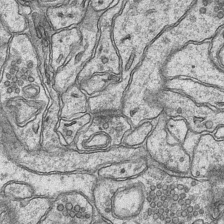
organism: Mouse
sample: CA1 Hippocampus